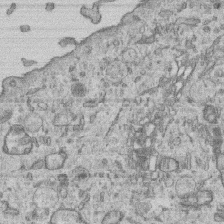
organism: Human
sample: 1205lu cells